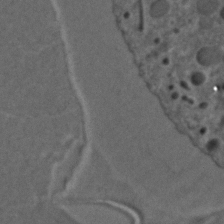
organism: C. elegans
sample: C. elegans embryo